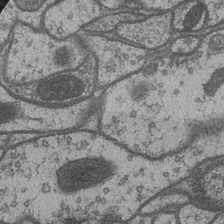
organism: Drosophila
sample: Optic medulla